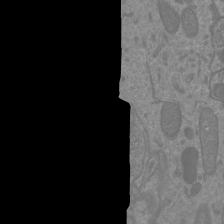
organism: Mouse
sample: Cortical neurons